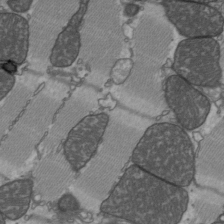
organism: C57BL Mouse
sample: Heart